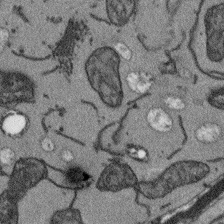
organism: Arabidopsis thaliana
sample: Root tip